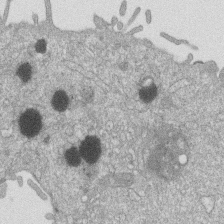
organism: Human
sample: HeLa cell HIV synapse